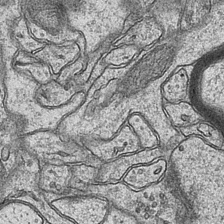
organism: Mouse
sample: CA1 Hippocampus